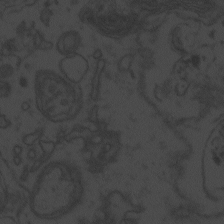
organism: Zebrafish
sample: Macrophage infected with Toxoplasma gondii